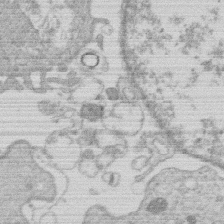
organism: Human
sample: Macrophage cells